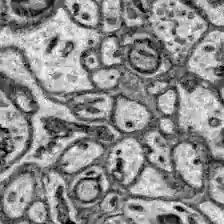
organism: Zebrafish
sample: Brain